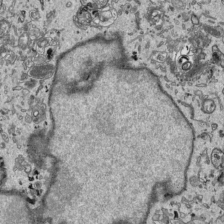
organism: Human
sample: Mitochondria in HCT116 cells